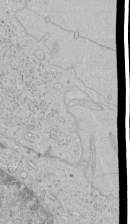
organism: Human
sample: Mitochondria in HCT116 cells